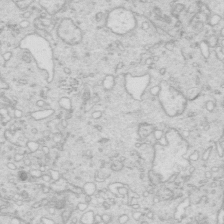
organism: Mouse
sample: Multiciliated cells